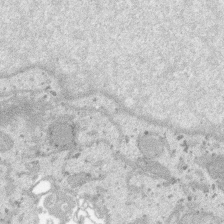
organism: Human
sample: Lung epithelial cells infected with SARS-CoV-2